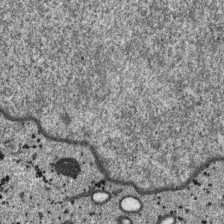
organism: Human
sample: Lung epithelial cells infected with SARS-CoV-2